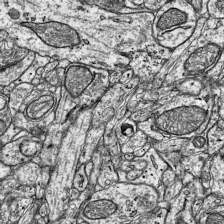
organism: Mouse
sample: Visual Cortex